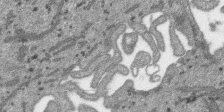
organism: Human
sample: Lung epithelial cells infected with SARS-CoV-2